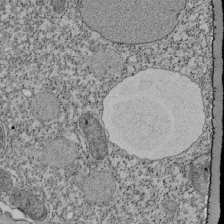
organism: Tetrahymena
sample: Cilia in tetrahymena